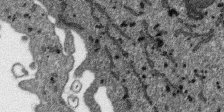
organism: Human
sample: Lung epithelial cells infected with SARS-CoV-2